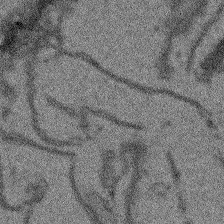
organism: Arabidopsis thaliana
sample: Root tip